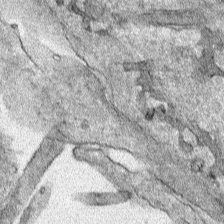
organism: Human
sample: Mitochondria in HCT116 cells